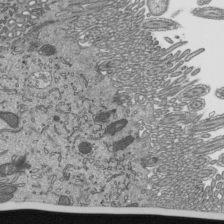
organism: Mouse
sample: Mouse epididymis efferent ductule cilia